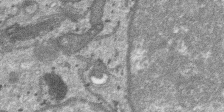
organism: Human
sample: Lung epithelial cells infected with SARS-CoV-2